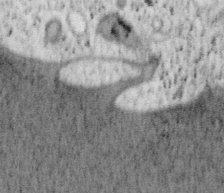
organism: Mouse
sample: OT-I killer T cells with ID8 ovarian cancer cells